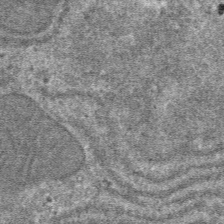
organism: Mouse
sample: Mouse hepatocytes